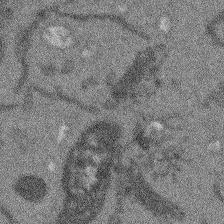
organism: Arabidopsis thaliana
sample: Root tip